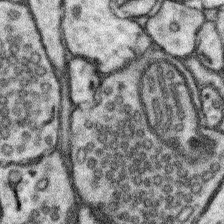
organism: Mouse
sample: Somatosensory cortex neuropil